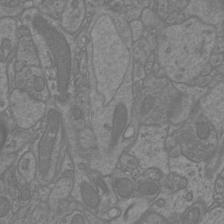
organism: Mouse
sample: Cortical neurons